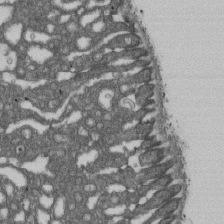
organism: Drosophila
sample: Nephrocyte